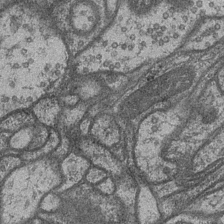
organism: Drosophila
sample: Optic medulla